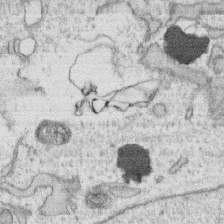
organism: Human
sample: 1205lu cells